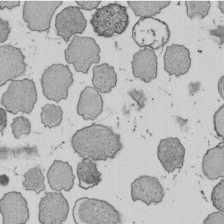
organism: E. coli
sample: Bacterial nucleoid